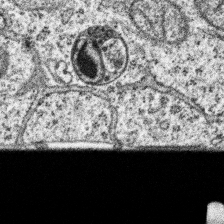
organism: Human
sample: HeLa cells